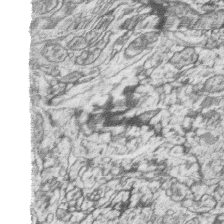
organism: Zebrafish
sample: synaptic ribbons in rod cells and cone cells